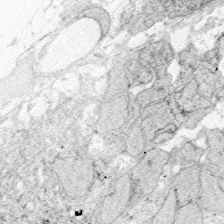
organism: Zebrafish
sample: Whole-Brain